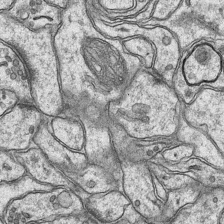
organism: Mouse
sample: CA1 Hippocampus